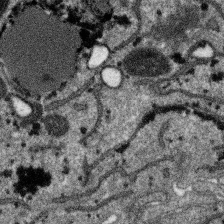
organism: Human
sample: Lung epithelial cells infected with SARS-CoV-2